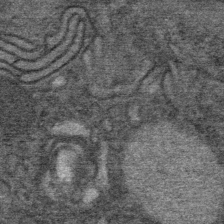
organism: Mouse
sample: Mouse Salivary gland